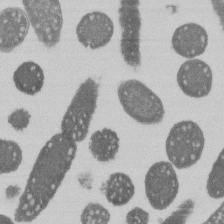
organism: E. coli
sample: Bacterial nucleoid